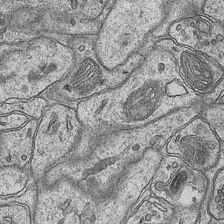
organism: Mouse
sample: CA1 Hippocampus